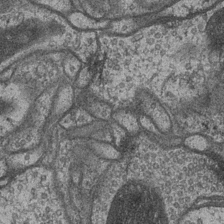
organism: Drosophila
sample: Optic medulla